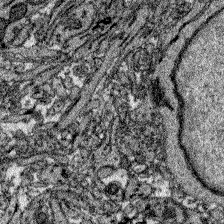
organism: Zebrafish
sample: Larval olfactory bulb